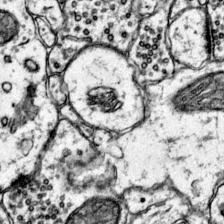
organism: Mouse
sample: Primary visual cortex